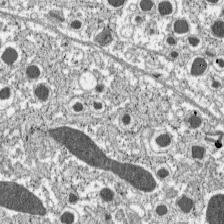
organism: C57BL Mouse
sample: Pancreatic islet